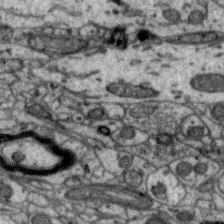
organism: Zebra finch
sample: Brain